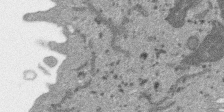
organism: Human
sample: Lung epithelial cells infected with SARS-CoV-2